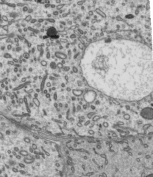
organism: Mouse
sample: Mouse epididymis efferent ductule cilia